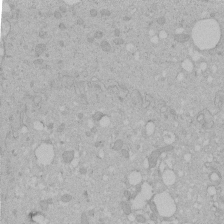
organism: Human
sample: Melanocyte Keratinocyte synapse skin construct